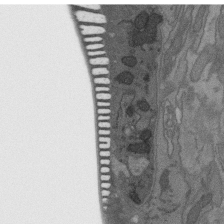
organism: C. elegans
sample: AFD neurons C. elegans